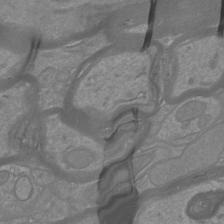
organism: Mouse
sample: Cortical neurons